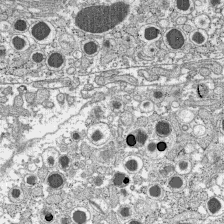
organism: C57BL Mouse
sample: Pancreatic islet